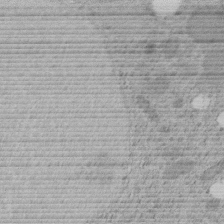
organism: C. elegans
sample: C. elegans embryo early stage